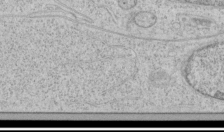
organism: Human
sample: Mitochondria in HCT116 cells